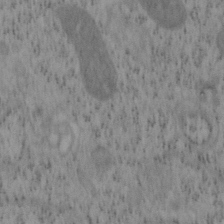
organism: Mouse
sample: OT-I killer T cells with ID8 ovarian cancer cells